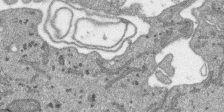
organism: Human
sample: Lung epithelial cells infected with SARS-CoV-2